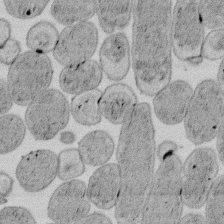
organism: E. coli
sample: Bacterial nucleoid